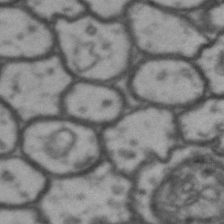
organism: Drosophila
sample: Brain